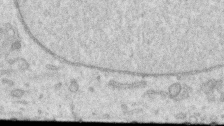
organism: Human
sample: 1205lu cells